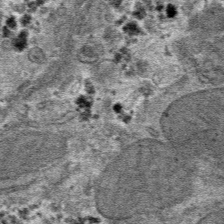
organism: Mouse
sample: Mouse hepatocytes